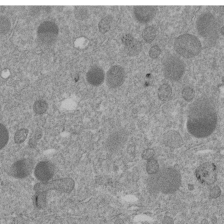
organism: C. elegans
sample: C. elegans embryo early stage